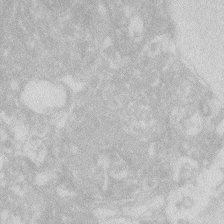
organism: Zebrafish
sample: Macrophage